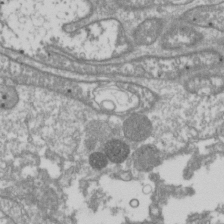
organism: Drosophila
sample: Cell division; meiosis; drosophila spermatocytes